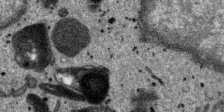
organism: Human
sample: Lung epithelial cells, uninfected (mock) control